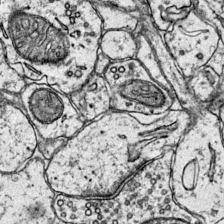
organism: Mouse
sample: Primary visual cortex